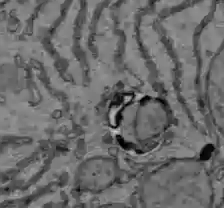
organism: C57BL Mouse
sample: Liver